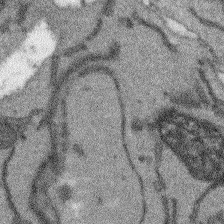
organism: Arabidopsis thaliana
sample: Root tip